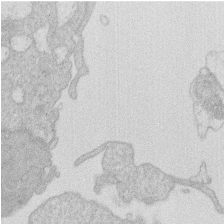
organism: Human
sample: Macrophage cells